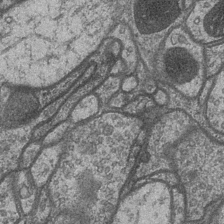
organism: Drosophila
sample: Optic medulla